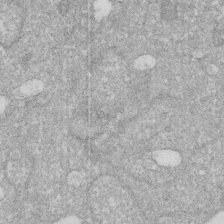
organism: Human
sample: HIV infected U937 cells